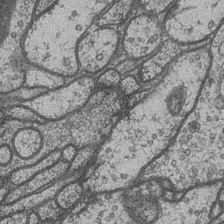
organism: Drosophila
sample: Optic medulla